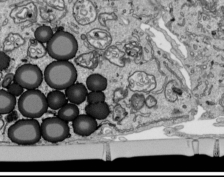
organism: Human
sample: Mitochondria in HCT116 cells